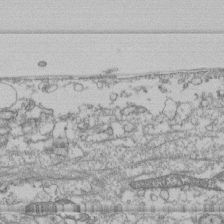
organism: Human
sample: Fibroblast cells